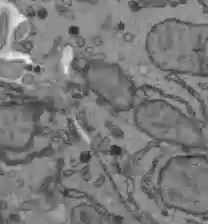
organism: C57BL Mouse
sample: Liver